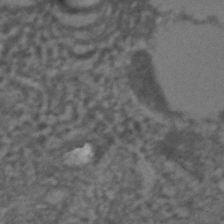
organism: C. elegans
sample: C. elegans embryo